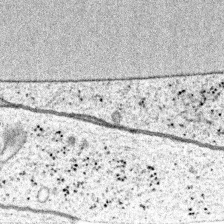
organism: Human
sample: HeLa cells